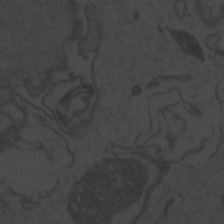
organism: Zebrafish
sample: Macrophage infected with Toxoplasma gondii